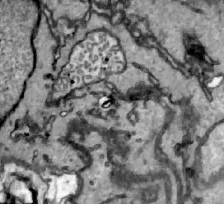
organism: Zebrafish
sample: Actinotrichia fibers